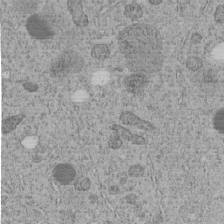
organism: C. elegans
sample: C. elegans embryo early stage